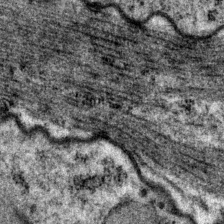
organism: P. pacificus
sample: Pharynx